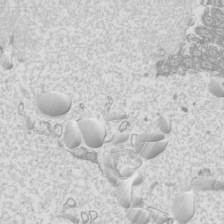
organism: Mouse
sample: Cilia; mouse epididymis